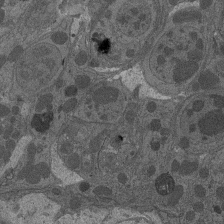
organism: Drosophila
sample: Antenna